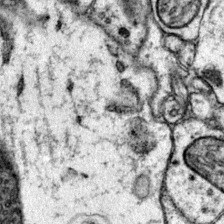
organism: Mouse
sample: Primary visual cortex